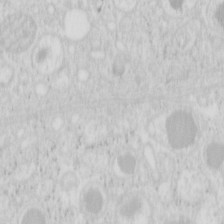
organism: Mouse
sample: Pancreas